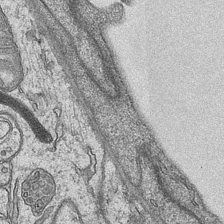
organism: Mouse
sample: CA1 Hippocampus